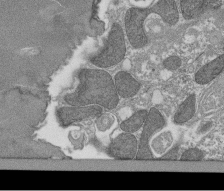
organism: Tetrahymena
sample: Cilia in tetrahymena